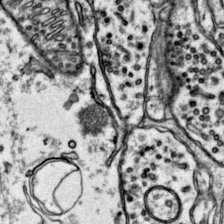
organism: Mouse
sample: Primary visual cortex